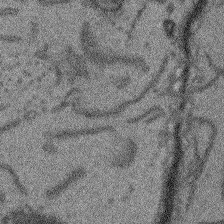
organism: Arabidopsis thaliana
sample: Root tip